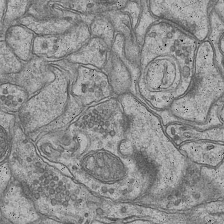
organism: Mouse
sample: CA1 Hippocampus